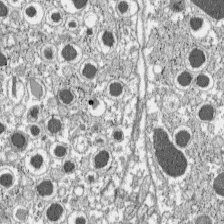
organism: C57BL Mouse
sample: Pancreatic islet